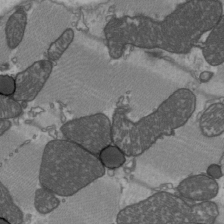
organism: C57BL Mouse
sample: Heart